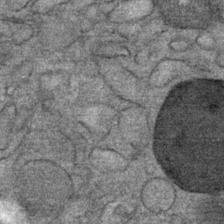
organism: Mouse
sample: Mouse Salivary gland